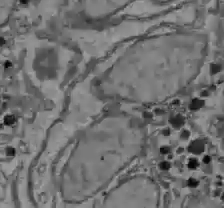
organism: C57BL Mouse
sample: Liver